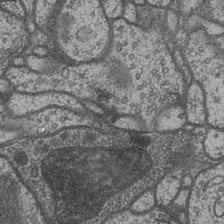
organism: Drosophila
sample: Optic medulla